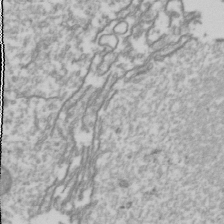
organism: Drosophila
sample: Cell division; meiosis; drosophila spermatocytes